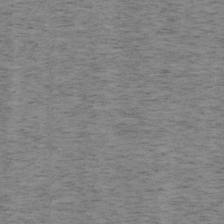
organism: Mouse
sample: OT-I killer T cells with ID8 ovarian cancer cells